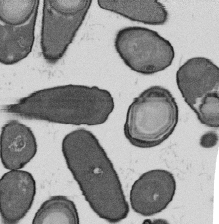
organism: B. subtilis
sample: Bacterial spore